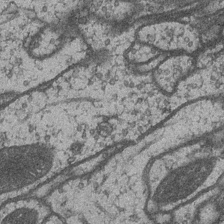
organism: Drosophila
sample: Optic medulla